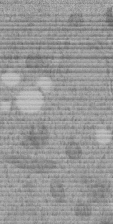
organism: C. elegans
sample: C. elegans embryo early stage